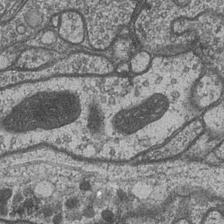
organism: Drosophila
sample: Optic medulla